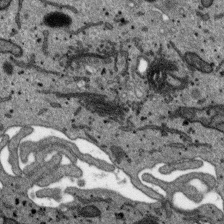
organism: Human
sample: Lung epithelial cells, uninfected (mock) control